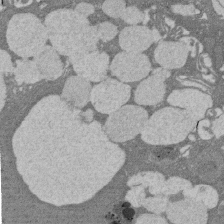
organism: Rat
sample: Salivary granule